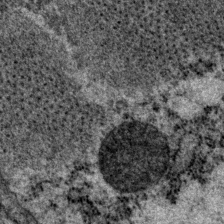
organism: P. pacificus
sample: Pharynx